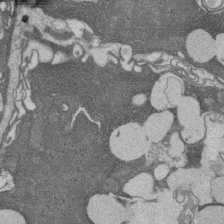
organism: Rat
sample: Salivary granule